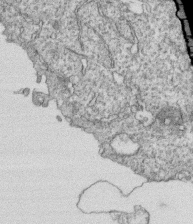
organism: Human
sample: HeLa cell HIV synapse